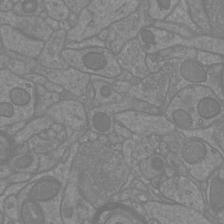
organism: Mouse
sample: Cortical neurons